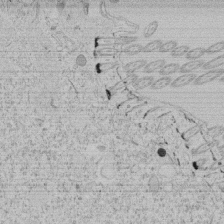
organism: Tetrahymena